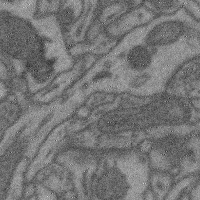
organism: Mouse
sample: Cerebral cortex